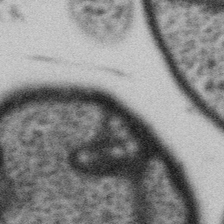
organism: Gemmata obscuriglobus